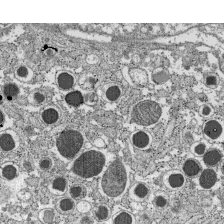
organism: C57BL Mouse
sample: Pancreatic islet